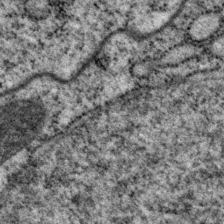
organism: P. pacificus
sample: Pharynx